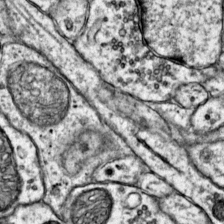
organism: Mouse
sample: Primary visual cortex